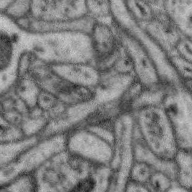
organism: Zebra finch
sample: Brain